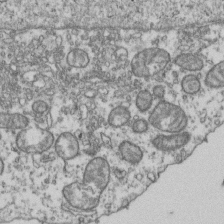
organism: Human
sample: Activated Jurkat CD4+ T cells